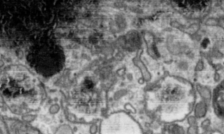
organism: Toxoplasma gondii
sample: Parasites in a vacuole inside a host cell